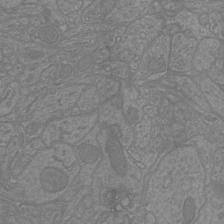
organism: Mouse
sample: Cortical neurons